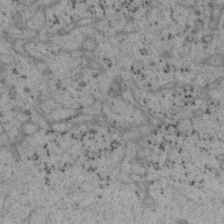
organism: Human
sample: HeLa cells